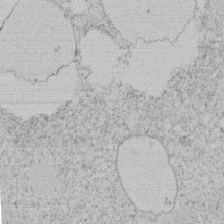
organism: Tetrahymena